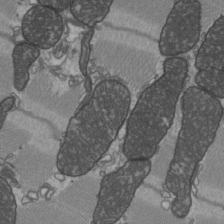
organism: C57BL Mouse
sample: Heart